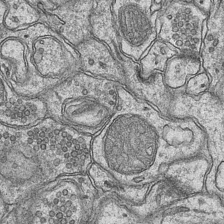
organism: Mouse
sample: CA1 Hippocampus